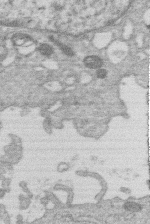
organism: Human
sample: Macrophage cells